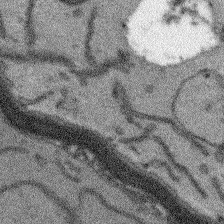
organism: Arabidopsis thaliana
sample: Root tip